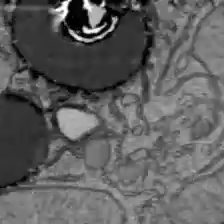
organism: C57BL Mouse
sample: Liver